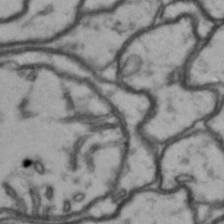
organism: Drosophila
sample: Brain